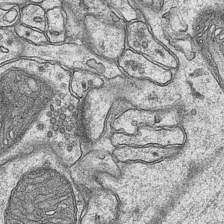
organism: Mouse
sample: CA1 Hippocampus